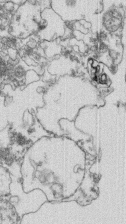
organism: Human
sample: HeLa cell HIV synapse